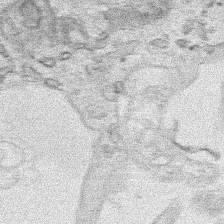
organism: Human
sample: Mitochondria in HCT116 cells